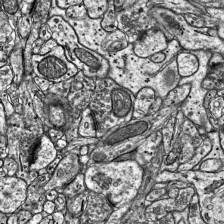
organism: Mouse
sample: Visual Cortex